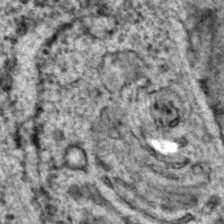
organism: C. elegans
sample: C. elegans embryo